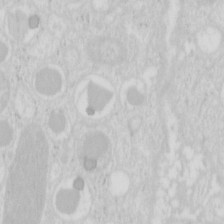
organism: Mouse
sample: Pancreas